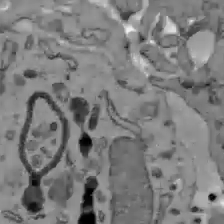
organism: C57BL Mouse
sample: Liver